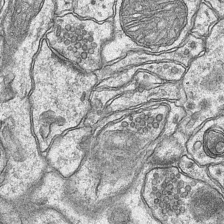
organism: Mouse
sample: CA1 Hippocampus